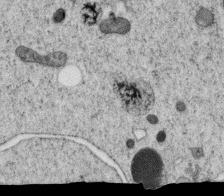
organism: C. elegans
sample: C. elegans oocyte; sperm cells